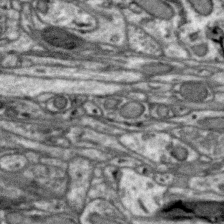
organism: Zebra finch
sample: Brain